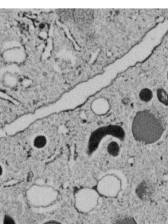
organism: C. elegans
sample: C. elegans embryo early stage